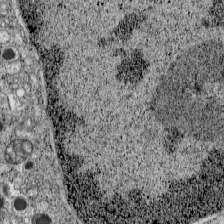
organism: C57BL Mouse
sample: Pancreatic islet